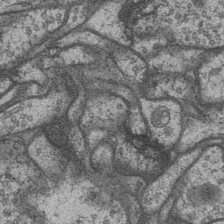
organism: Drosophila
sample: Optic medulla